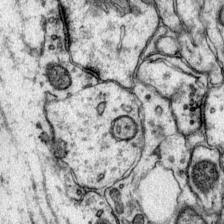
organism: Mouse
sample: Primary visual cortex